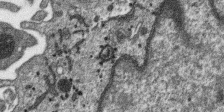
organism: Human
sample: Lung epithelial cells infected with SARS-CoV-2